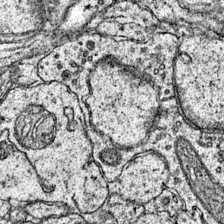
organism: Mouse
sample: Primary visual cortex